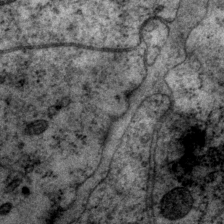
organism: P. pacificus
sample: Pharynx